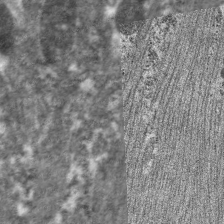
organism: C. elegans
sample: Pharynx